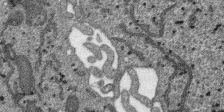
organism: Human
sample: Lung epithelial cells infected with SARS-CoV-2